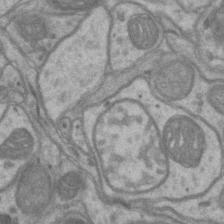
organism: Mouse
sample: CA1 Hippocampus